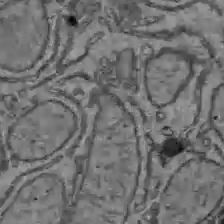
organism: C57BL Mouse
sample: Liver